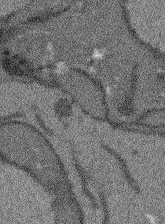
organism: Arabidopsis thaliana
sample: Root tip